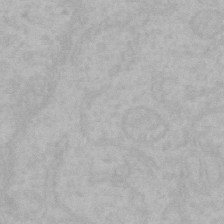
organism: Mouse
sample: Choroid plexus